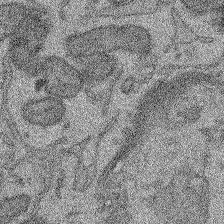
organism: Human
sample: HeLa cells